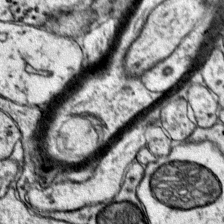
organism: Mouse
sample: Primary visual cortex